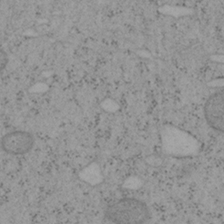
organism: Mouse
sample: OT-I killer T cells with ID8 ovarian cancer cells